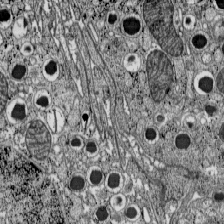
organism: C57BL Mouse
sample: Pancreatic islet